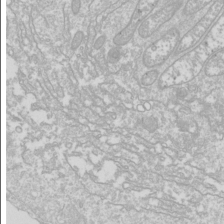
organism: Drosophila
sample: Cell division; meiosis; drosophila spermatocytes